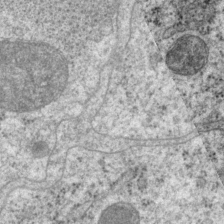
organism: P. pacificus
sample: Pharynx